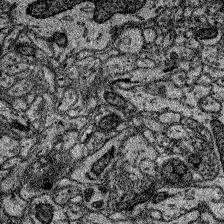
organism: Zebrafish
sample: Larval olfactory bulb